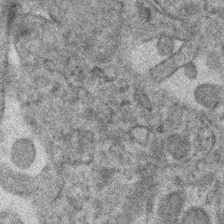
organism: Human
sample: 1205lu cells